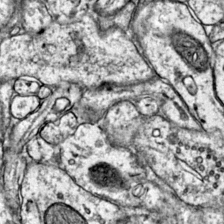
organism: Mouse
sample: Primary visual cortex